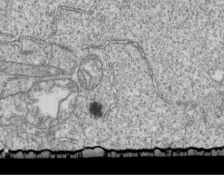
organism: Human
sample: HeLa cell HIV synapse